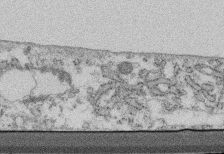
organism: Mouse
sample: Cilia; retinal pigment epithelium